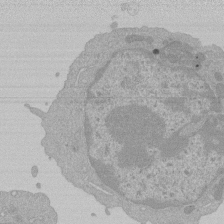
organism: Mouse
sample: Activated Pmel transgenic CD8+ T Cells